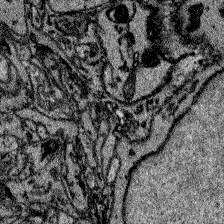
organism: Zebrafish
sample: Larval olfactory bulb